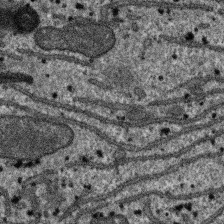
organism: Human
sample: Lung epithelial cells infected with SARS-CoV-2